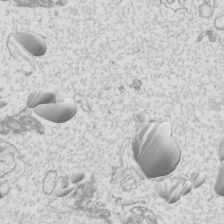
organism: Mouse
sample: Cilia; mouse epididymis